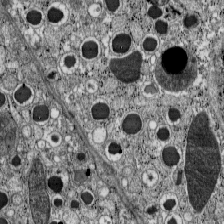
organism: C57BL Mouse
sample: Pancreatic islet